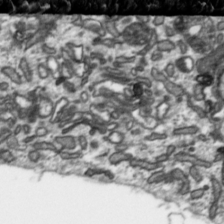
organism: Toxoplasma gondii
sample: Parasites in a vacuole inside a host cell